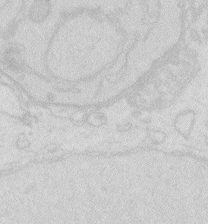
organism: Zebrafish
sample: Macrophage